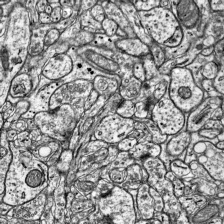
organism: Mouse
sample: Visual Cortex